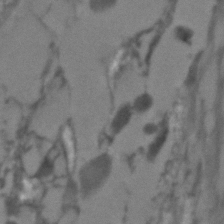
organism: C. elegans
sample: C. elegans embryo